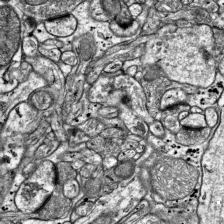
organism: Mouse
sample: Visual Cortex